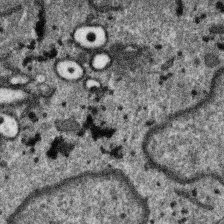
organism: Human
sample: Lung epithelial cells infected with SARS-CoV-2